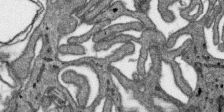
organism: Human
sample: Lung epithelial cells, uninfected (mock) control